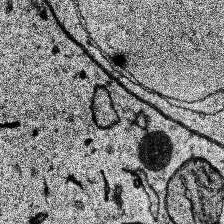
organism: Human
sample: Temporal Lobe